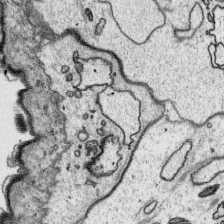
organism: Platynereis dumerilii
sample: Parapodia